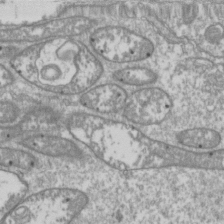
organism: Drosophila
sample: Cell division; meiosis; drosophila spermatocytes